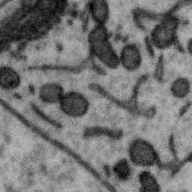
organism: Zebra finch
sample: Brain